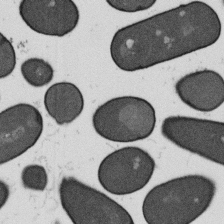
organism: B. subtilis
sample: Bacterial spore